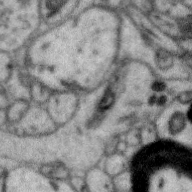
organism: Zebra finch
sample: Brain